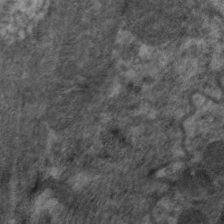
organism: C. elegans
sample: Pharynx